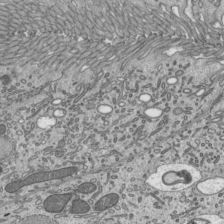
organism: Mouse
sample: Mouse epididymis efferent ductule cilia